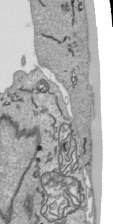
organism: Human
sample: Mitochondria in HCT116 cells